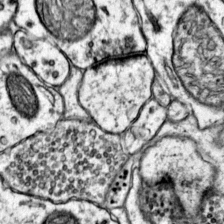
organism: Mouse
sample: Primary visual cortex